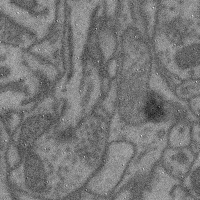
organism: Mouse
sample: Cerebral cortex